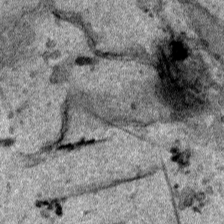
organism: Human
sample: Mitochondria in HCT116 cells